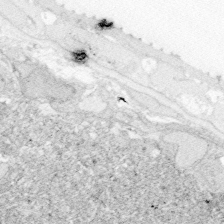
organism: Zebrafish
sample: Whole-Brain